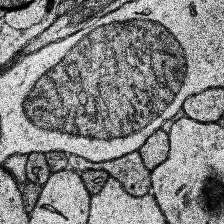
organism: Human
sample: Temporal Lobe